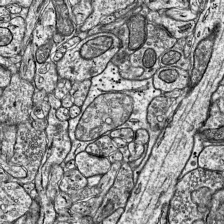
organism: Mouse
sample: Visual Cortex